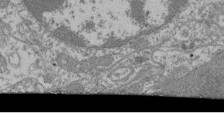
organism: Mouse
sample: Glomerulus